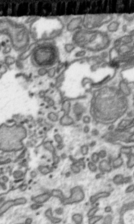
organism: Toxoplasma gondii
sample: Parasites in a vacuole inside a host cell